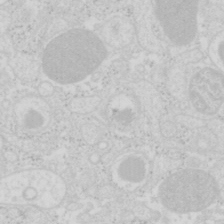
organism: Mouse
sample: Pancreas